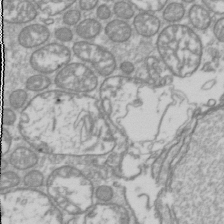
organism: Drosophila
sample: Cell division; meiosis; drosophila spermatocytes